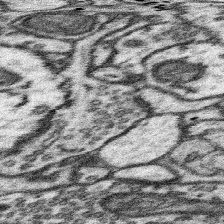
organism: Mouse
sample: Somatosensory cortex neuropil